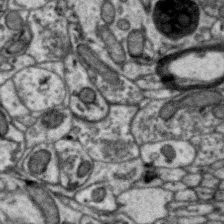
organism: Zebra finch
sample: Brain